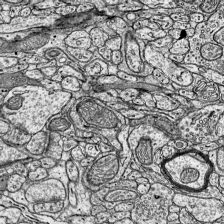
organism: Mouse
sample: Visual Cortex